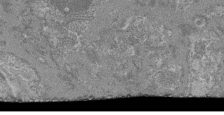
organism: Mouse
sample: Glomerulus